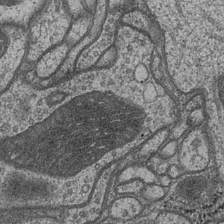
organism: Drosophila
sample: Optic medulla